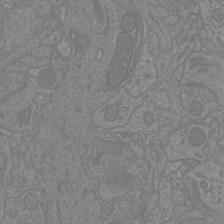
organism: Mouse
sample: Cortical neurons